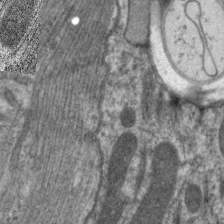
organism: C. elegans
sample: Pharynx